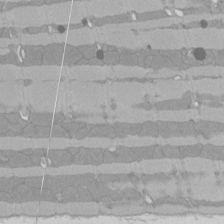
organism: Rat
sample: Left ventricle